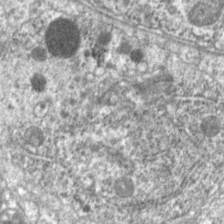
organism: C. elegans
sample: Pharynx